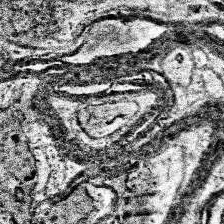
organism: Human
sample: Temporal Lobe